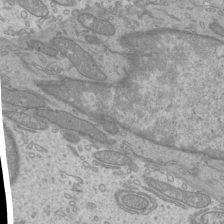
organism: Mouse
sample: Cilia; mouse epididymis